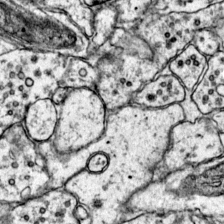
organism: Mouse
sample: Primary visual cortex